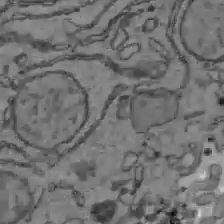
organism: C57BL Mouse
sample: Liver